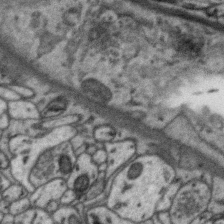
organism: Zebra finch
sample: Brain